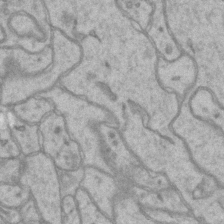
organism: Mouse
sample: CA1 Hippocampus